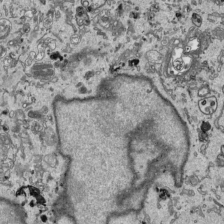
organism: Human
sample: Mitochondria in HCT116 cells